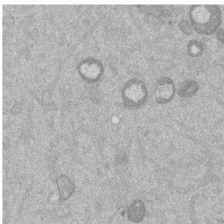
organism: Mouse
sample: Dividing mouse embryo 1 cell stage